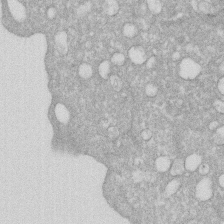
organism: Human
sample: HIV infected U937 cells